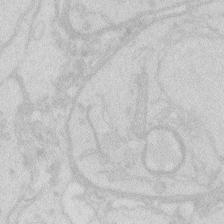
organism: Zebrafish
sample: Macrophage